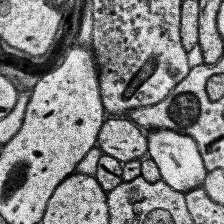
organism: Human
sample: Temporal Lobe